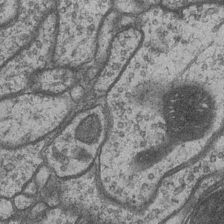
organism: Drosophila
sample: Optic medulla